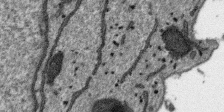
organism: Human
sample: Lung epithelial cells, uninfected (mock) control